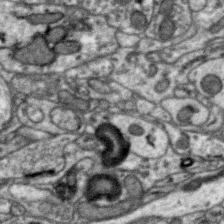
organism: Zebra finch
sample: Brain